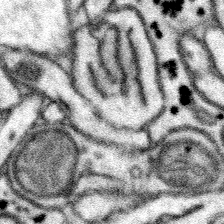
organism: Mouse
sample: Somatosensory cortex neuropil